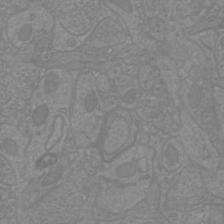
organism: Mouse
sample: Cortical neurons